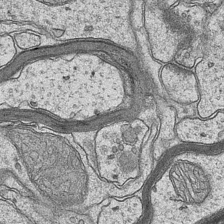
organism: Mouse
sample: CA1 Hippocampus